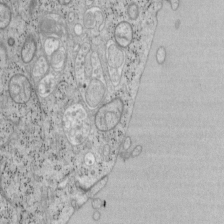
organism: Mouse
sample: OT-I killer T cells with ID8 ovarian cancer cells